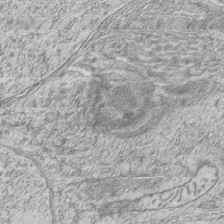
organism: Zebrafish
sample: synaptic ribbons in rod cells and cone cells